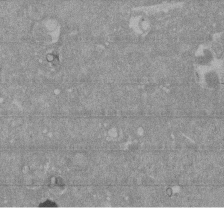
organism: Mouse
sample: ED-1 cell nuclei; centrioles